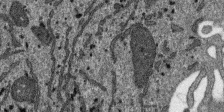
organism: Human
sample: Lung epithelial cells infected with SARS-CoV-2